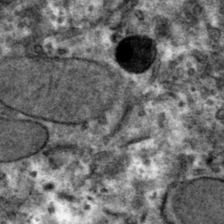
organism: Mouse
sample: Mouse hepatocytes